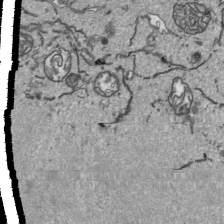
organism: Human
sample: Mitochondria in HCT116 cells